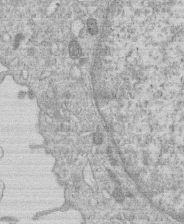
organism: Human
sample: Macrophage cells